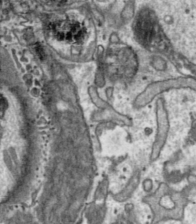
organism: Toxoplasma gondii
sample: Parasites in a vacuole inside a host cell